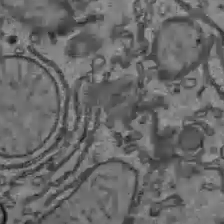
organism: C57BL Mouse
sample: Liver